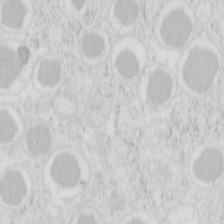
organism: Mouse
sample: Pancreas